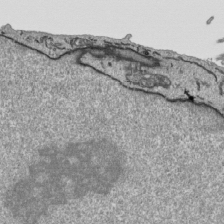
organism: Human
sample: Mitochondria in HCT116 cells